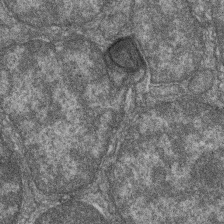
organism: Zebrafish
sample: Cilia; retinal pigment epithelium